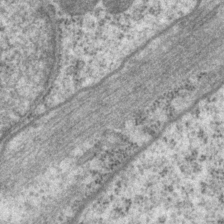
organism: P. pacificus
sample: Pharynx